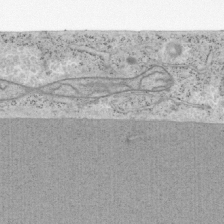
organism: Human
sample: HeLa cells